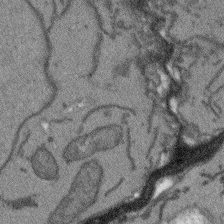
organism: Arabidopsis thaliana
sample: Root tip